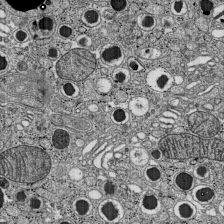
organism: C57BL Mouse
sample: Pancreatic islet